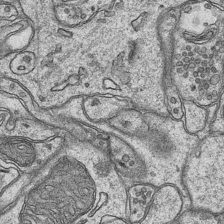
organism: Mouse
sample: CA1 Hippocampus